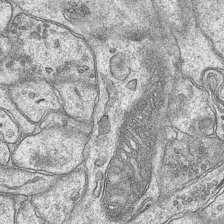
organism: Mouse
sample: CA1 Hippocampus